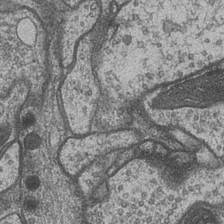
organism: Drosophila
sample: Optic medulla